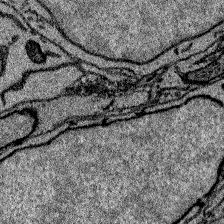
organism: Zebrafish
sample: Larval olfactory bulb